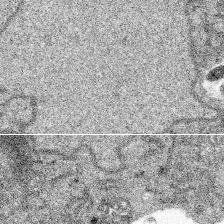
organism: Spongilla lacustris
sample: Multiple